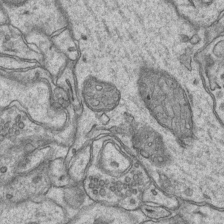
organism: Mouse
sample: CA1 Hippocampus